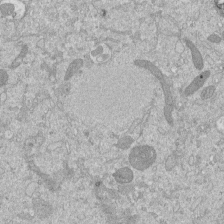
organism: Mouse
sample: ED-1 cell nuclei; centrioles